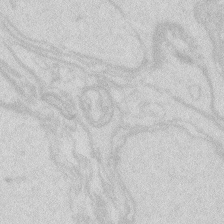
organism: Zebrafish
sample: Macrophage